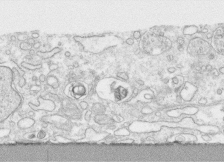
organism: Human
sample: CRL-1474